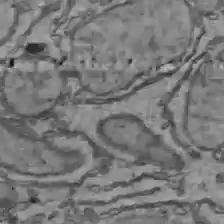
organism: C57BL Mouse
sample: Liver